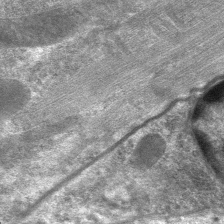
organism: C. elegans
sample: Pharynx